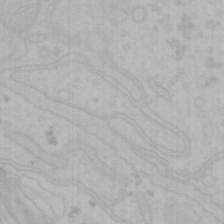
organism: Mouse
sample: Choroid plexus